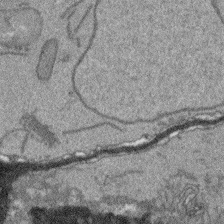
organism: Arabidopsis thaliana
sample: Root tip